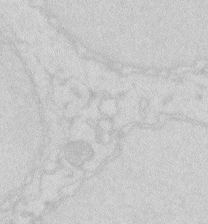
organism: Zebrafish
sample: Macrophage